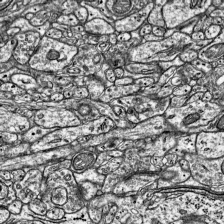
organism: Mouse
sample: Visual Cortex